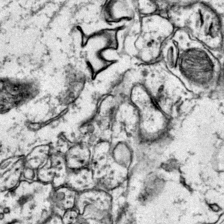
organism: Mouse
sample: Primary visual cortex